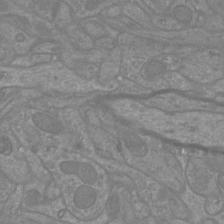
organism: Mouse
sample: Cortical neurons